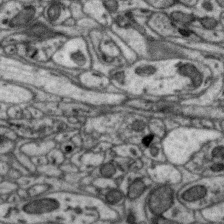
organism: Zebra finch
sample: Brain